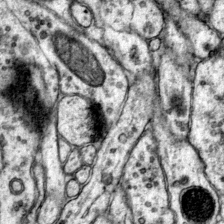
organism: Mouse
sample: Primary visual cortex